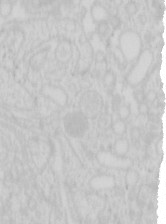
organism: Mouse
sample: Pancreas